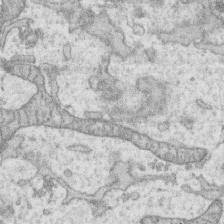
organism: Human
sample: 1205lu cells